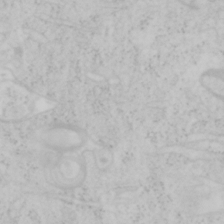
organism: Mouse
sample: OT-I killer T cells with ID8 ovarian cancer cells